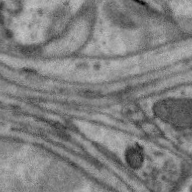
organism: Zebra finch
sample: Brain